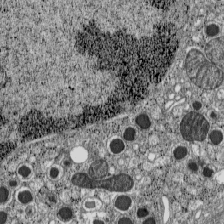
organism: C57BL Mouse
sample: Pancreatic islet